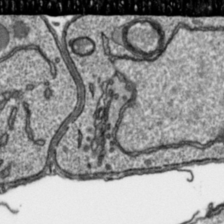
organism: Toxoplasma gondii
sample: Parasites in a vacuole inside a host cell